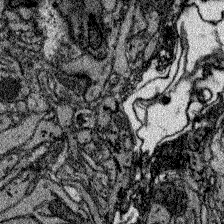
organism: Zebrafish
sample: Larval olfactory bulb